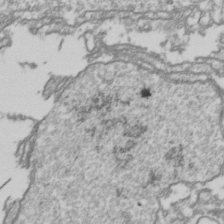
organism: Drosophila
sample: Cell division; meiosis; drosophila spermatocytes